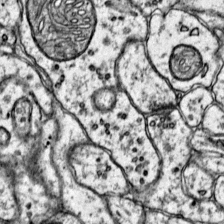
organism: Mouse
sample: Primary visual cortex